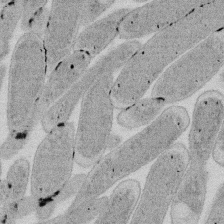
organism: E. coli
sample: Bacterial nucleoid